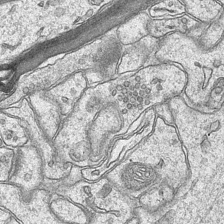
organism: Mouse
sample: CA1 Hippocampus